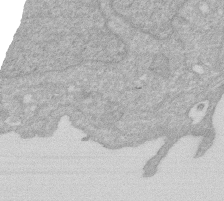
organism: Human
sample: HIV infected U937 cells